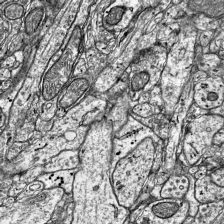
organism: Mouse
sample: Visual Cortex